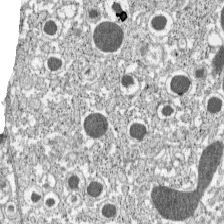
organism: C57BL Mouse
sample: Pancreatic islet